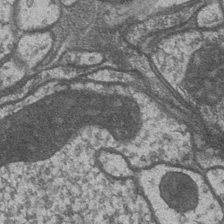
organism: Drosophila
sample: Optic medulla